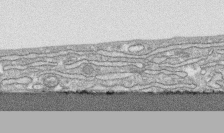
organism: Human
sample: CRL-1474